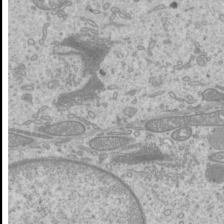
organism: Mouse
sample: Cilia; mouse epididymis